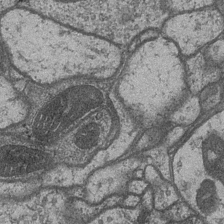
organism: Drosophila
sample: Optic medulla